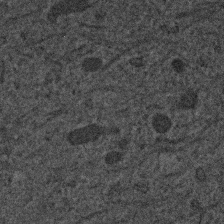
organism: Human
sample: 1205lu cells